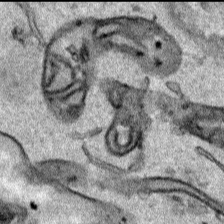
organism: Human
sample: Mitochondria in HCT116 cells